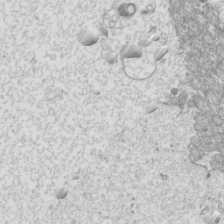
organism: Mouse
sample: Cilia; mouse epididymis